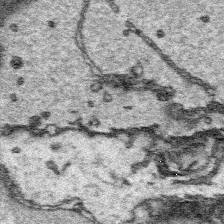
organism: Platynereis dumerilii